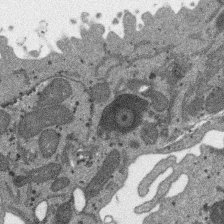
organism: Human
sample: Lung epithelial cells infected with SARS-CoV-2